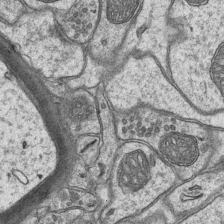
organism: Mouse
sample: CA1 Hippocampus